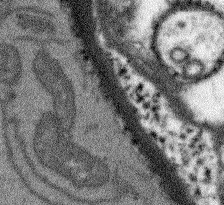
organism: Arabidopsis thaliana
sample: Root tip